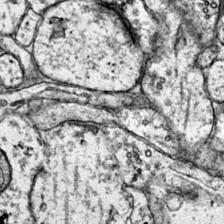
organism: Mouse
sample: Primary visual cortex